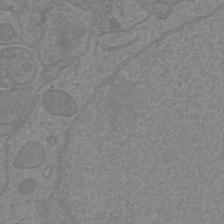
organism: Mouse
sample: Cortical neurons